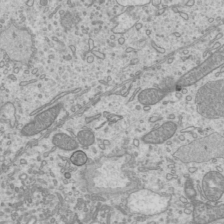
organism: Mouse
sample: Cilia; mouse epididymis